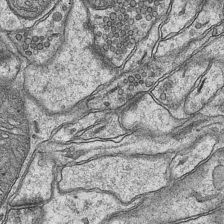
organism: Mouse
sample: CA1 Hippocampus